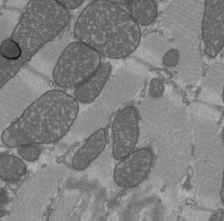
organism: C57BL Mouse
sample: Heart